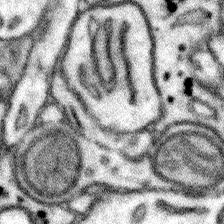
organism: Mouse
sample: Somatosensory cortex neuropil